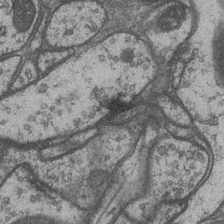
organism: Drosophila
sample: Optic medulla